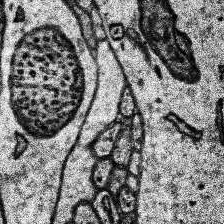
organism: Human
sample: Temporal Lobe